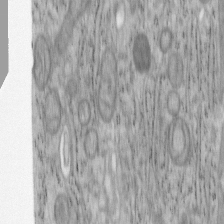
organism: Human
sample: HeLa cells